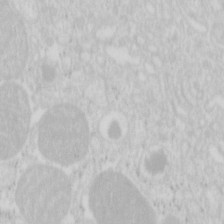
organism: Mouse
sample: Pancreas